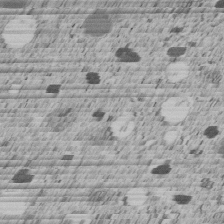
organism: C. elegans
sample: C. elegans embryo early stage